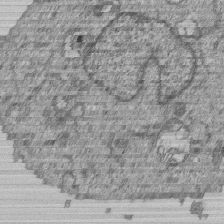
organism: Human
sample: MDA-MB-231 cells